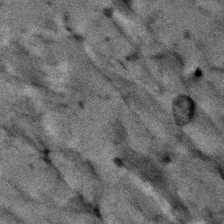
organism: Human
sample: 1205lu cells